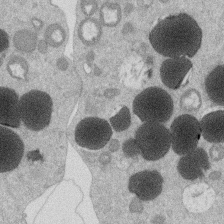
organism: Mouse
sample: Dividing mouse embryo 1 cell stage